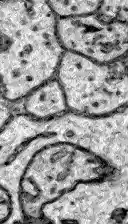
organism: Zebrafish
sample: Brain